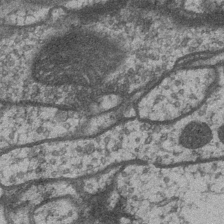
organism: Drosophila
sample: Optic medulla